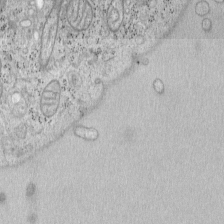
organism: Mouse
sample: OT-I killer T cells with ID8 ovarian cancer cells